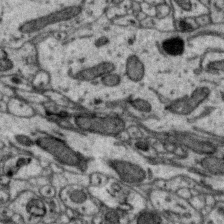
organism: Zebra finch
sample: Brain